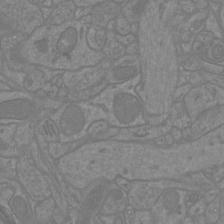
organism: Mouse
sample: Cortical neurons